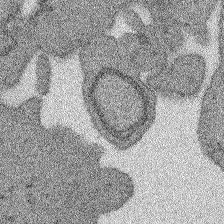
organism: Human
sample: HeLa cells